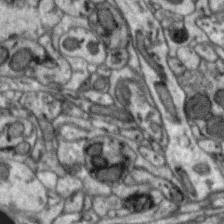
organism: Zebra finch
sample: Brain